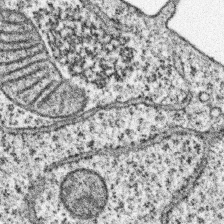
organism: Human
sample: HeLa cells